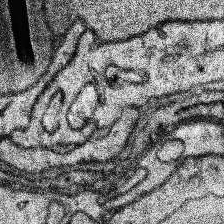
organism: Human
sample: Temporal Lobe